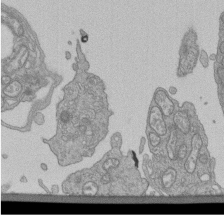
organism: Human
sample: Retinal organoid Rod and Cone cells